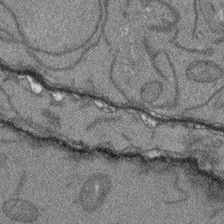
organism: Arabidopsis thaliana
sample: Root tip